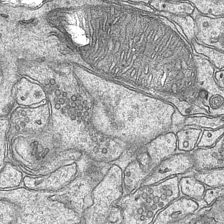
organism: Mouse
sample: CA1 Hippocampus